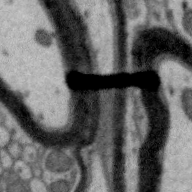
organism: Zebra finch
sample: Brain